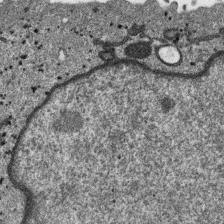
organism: Human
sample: Lung epithelial cells infected with SARS-CoV-2